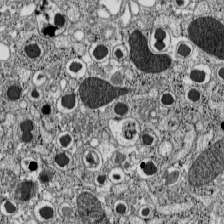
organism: C57BL Mouse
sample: Pancreatic islet